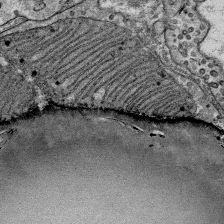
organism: Mouse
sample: Mouse Salivary gland